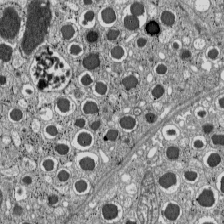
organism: C57BL Mouse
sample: Pancreatic islet